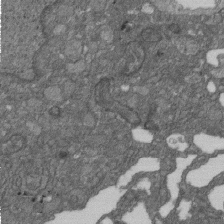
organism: Drosophila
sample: Nephrocyte